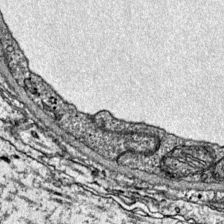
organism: Mouse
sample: Primary visual cortex